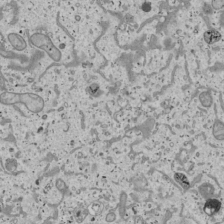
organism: Human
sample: Mitochondria in U2OS cells